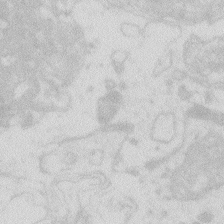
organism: Zebrafish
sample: Macrophage